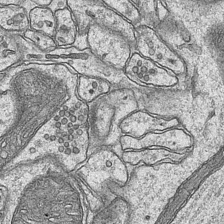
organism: Mouse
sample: CA1 Hippocampus